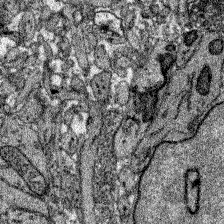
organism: Zebrafish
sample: Larval olfactory bulb